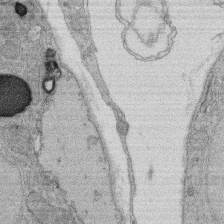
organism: Rat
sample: Salivary granule